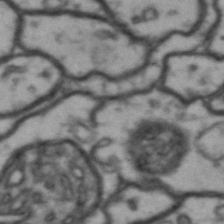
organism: Drosophila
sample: Brain